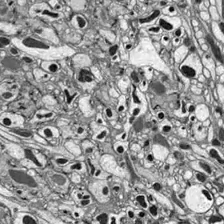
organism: Drosophila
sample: Optic lobe